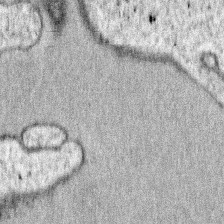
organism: Human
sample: HeLa cells